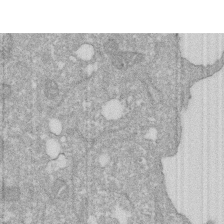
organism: Human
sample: HIV infected U937 cells